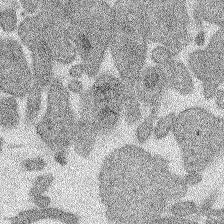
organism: Human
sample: HeLa cells